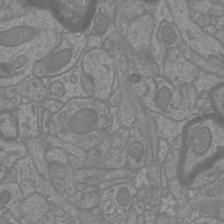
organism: Mouse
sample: Cortical neurons